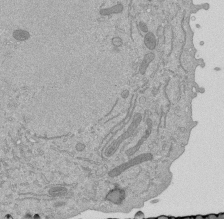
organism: Mouse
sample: ED-1 cell nuclei; centrioles